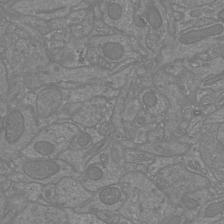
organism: Mouse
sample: Cortical neurons